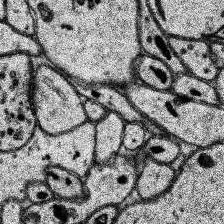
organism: Human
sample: Temporal Lobe